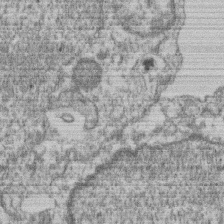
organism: Mouse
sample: T cell stromal cell synapse